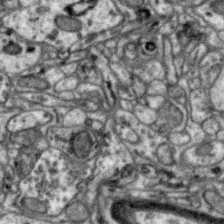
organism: Zebra finch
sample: Brain